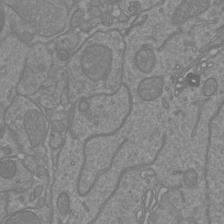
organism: Mouse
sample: Cortical neurons